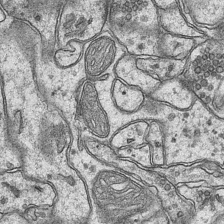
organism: Mouse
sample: CA1 Hippocampus